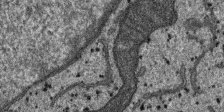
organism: Human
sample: Lung epithelial cells infected with SARS-CoV-2